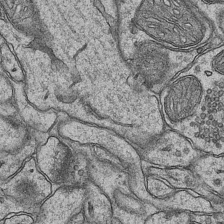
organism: Mouse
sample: CA1 Hippocampus